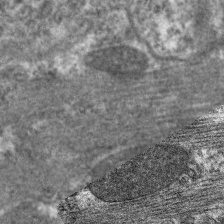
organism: C. elegans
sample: Pharynx